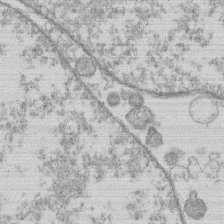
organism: Human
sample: Macrophage cells